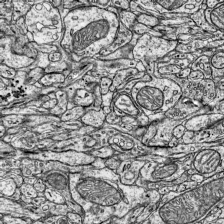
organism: Mouse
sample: Visual Cortex